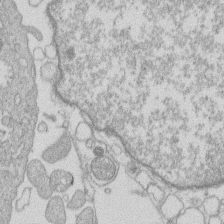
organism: Human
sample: Macrophage cells